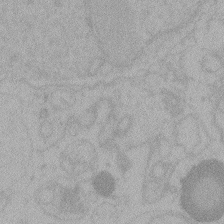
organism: Zebrafish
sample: Macrophage infected with Toxoplasma gondii